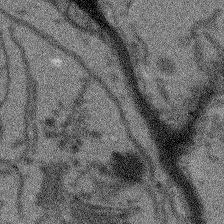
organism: Arabidopsis thaliana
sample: Root tip